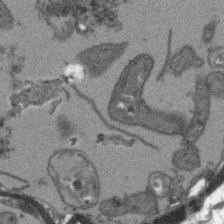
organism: Arabidopsis thaliana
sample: Root tip